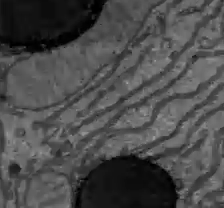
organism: C57BL Mouse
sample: Liver